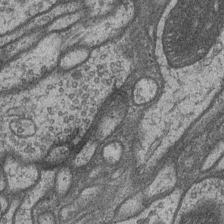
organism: Drosophila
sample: Optic medulla